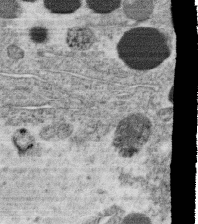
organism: C. elegans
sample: C. elegans oocyte; sperm cells